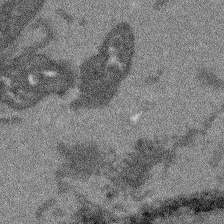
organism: Arabidopsis thaliana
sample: Root tip